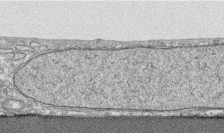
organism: Human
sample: CRL-1474